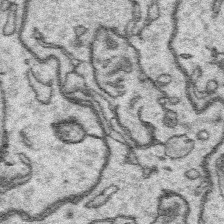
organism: Platynereis dumerilii